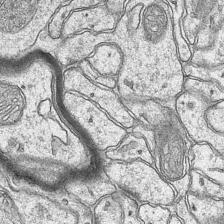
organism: Mouse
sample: CA1 Hippocampus